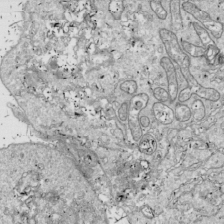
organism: Drosophila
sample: Cell division; meiosis; drosophila spermatocytes